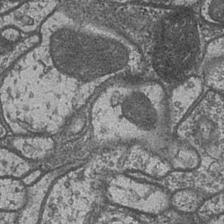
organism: Drosophila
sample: Optic medulla